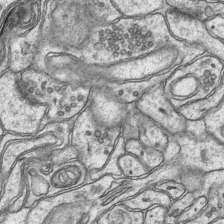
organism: Mouse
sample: CA1 Hippocampus